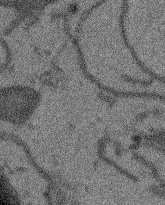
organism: Arabidopsis thaliana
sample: Root tip